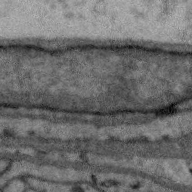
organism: Zebra finch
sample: Brain